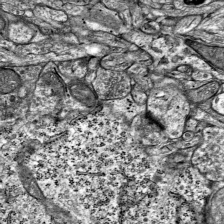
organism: Mouse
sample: Visual Cortex